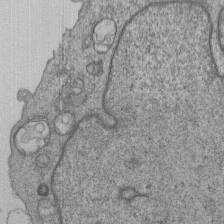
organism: Human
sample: MDA-MB-231 cells